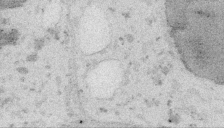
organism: Embia sp.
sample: Silk gland